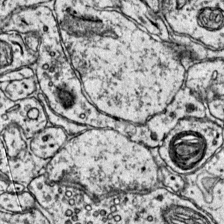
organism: Mouse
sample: Primary visual cortex